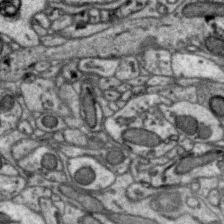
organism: Zebra finch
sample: Brain